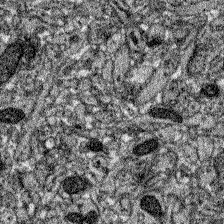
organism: Zebrafish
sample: Larval olfactory bulb